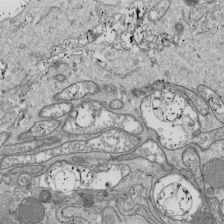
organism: Drosophila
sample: Cell division; meiosis; drosophila spermatocytes